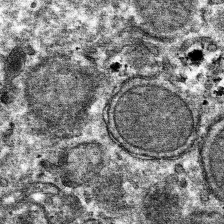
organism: Mouse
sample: Mouse hepatocytes